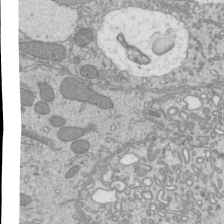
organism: Mouse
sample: Cilia; mouse epididymis